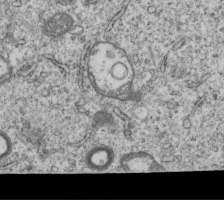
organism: Human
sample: MDA-MB-231 cells